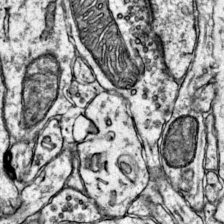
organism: Mouse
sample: Primary visual cortex